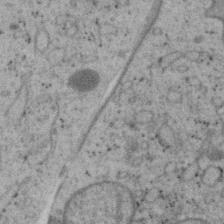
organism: Human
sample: HeLa cells